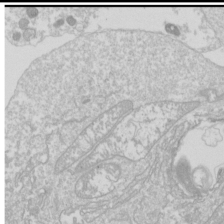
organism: Drosophila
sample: Cell division; meiosis; drosophila spermatocytes